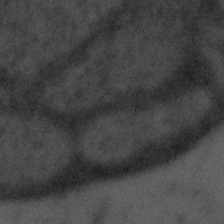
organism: Tuwongella immobilis